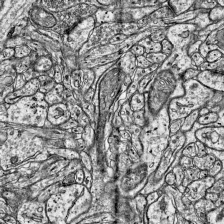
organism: Mouse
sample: Visual Cortex